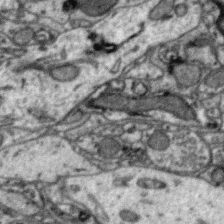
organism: Zebra finch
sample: Brain